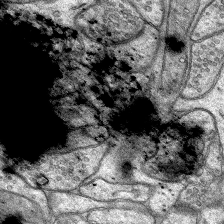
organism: Rat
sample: Hippocampus